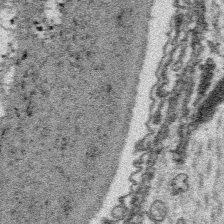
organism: Platynereis dumerilii